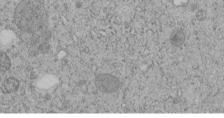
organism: C. elegans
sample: C. elegans embryo early stage